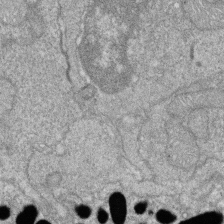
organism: Zebrafish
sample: Cilia; retinal pigment epithelium